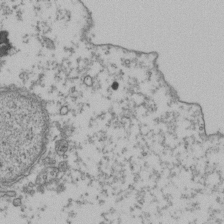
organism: Human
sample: Activated Jurkat CD4+ T cells